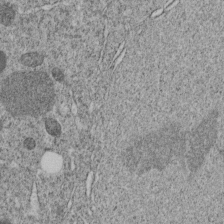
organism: C. elegans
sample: C. elegans embryo early stage